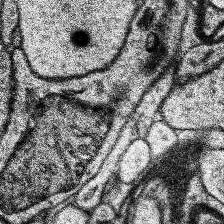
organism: Human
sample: Temporal Lobe